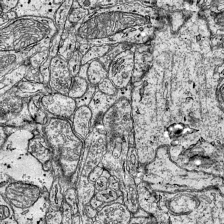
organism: Mouse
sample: Visual Cortex